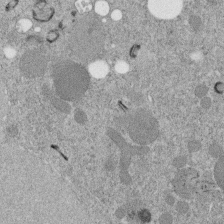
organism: C. elegans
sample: C. elegans embryo early stage